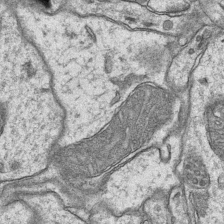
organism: Mouse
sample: CA1 Hippocampus